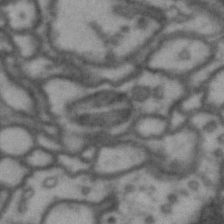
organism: Drosophila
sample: Brain